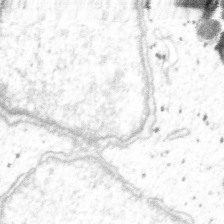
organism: Human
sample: HeLa cells